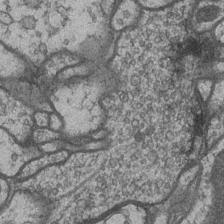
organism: Drosophila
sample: Optic medulla